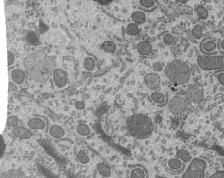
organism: Mouse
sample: Mouse epididymis efferent ductule cilia